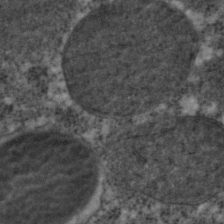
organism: C. elegans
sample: C. elegans embryo